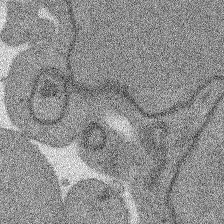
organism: Human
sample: HeLa cells